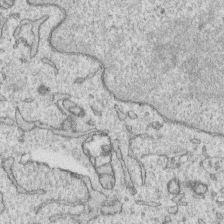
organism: Human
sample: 1205lu cells